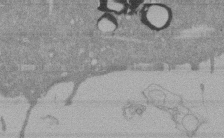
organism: Mouse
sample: ED-1 cell nuclei; centrioles